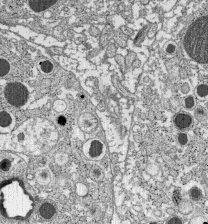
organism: C57BL Mouse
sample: Pancreatic islet